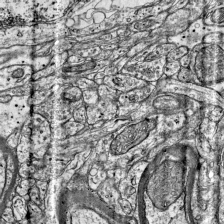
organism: Mouse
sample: Visual Cortex